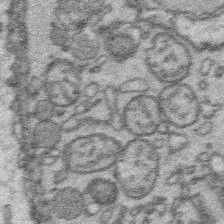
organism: Platynereis dumerilii